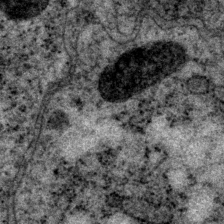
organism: P. pacificus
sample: Pharynx